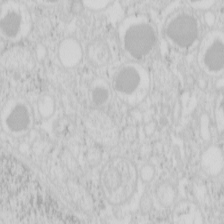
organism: Mouse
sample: Pancreas